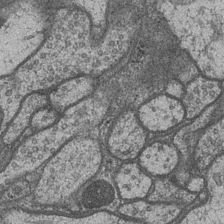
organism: Drosophila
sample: Optic medulla